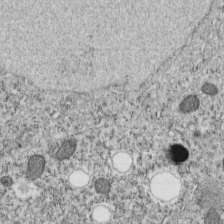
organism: C. elegans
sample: C. elegans embryo early stage